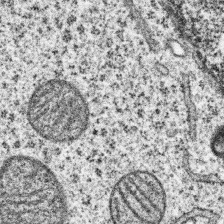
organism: Human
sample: HeLa cells